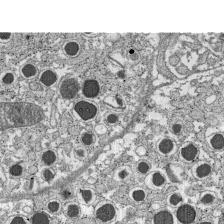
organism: C57BL Mouse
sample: Pancreatic islet